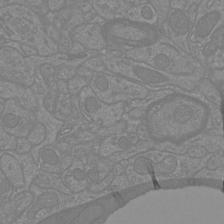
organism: Mouse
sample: Cortical neurons